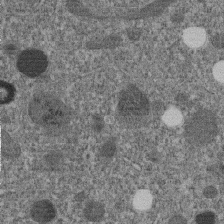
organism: C. elegans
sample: C. elegans embryo early stage